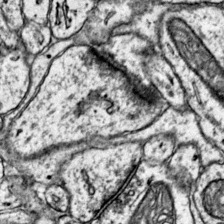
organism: Mouse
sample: Primary visual cortex